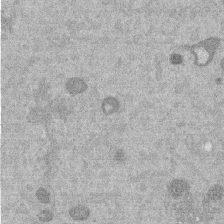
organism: Mouse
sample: Dividing mouse embryo 1 cell stage